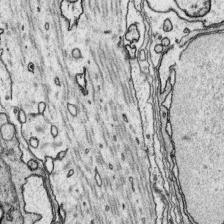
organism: Platynereis dumerilii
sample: Parapodia